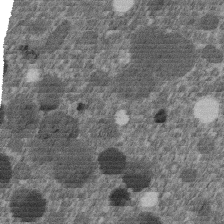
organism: C. elegans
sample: C. elegans embryo early stage